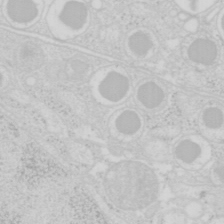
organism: Mouse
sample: Pancreas